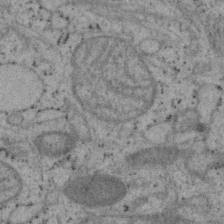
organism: Human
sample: HeLa cells